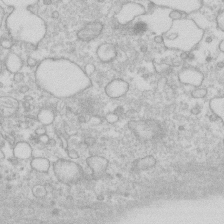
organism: Human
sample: Fibroblast cells